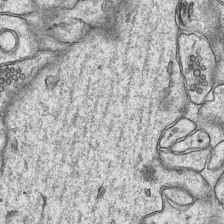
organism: Mouse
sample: CA1 Hippocampus